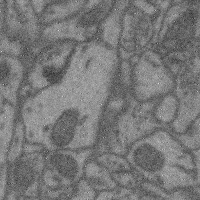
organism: Mouse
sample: Cerebral cortex